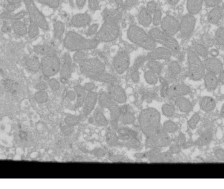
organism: Xenopus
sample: Cilia; centrioles in frog embryo cells